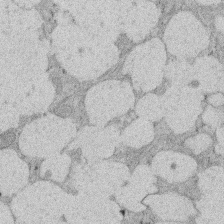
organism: Rat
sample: Salivary granule